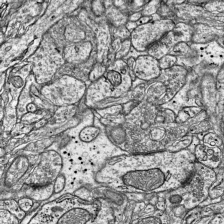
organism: Mouse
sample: Visual Cortex